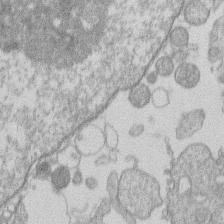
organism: Human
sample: Macrophage cells